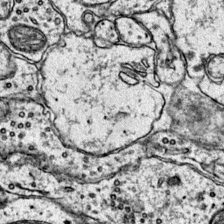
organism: Mouse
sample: Primary visual cortex